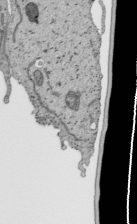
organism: Human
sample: Mitochondria in HCT116 cells